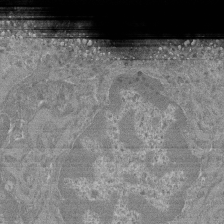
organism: Mouse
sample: Glomerulus